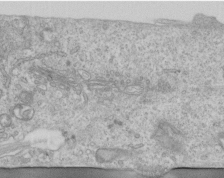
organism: Human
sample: Centriole in RPE cells